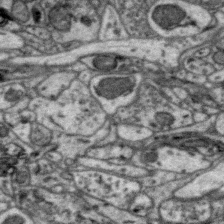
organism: Zebra finch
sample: Brain